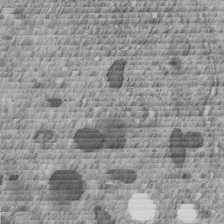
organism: C. elegans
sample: C. elegans embryo early stage